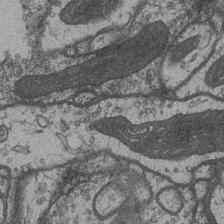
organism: Drosophila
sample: Optic medulla